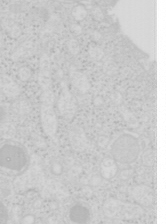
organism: Mouse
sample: Pancreas